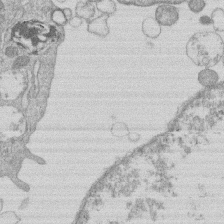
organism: Human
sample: Macrophage cells